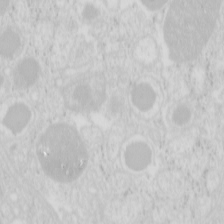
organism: Mouse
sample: Pancreas